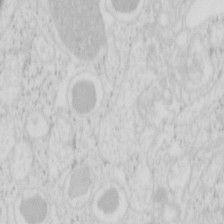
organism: Mouse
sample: Pancreas